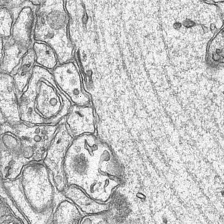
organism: Mouse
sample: CA1 Hippocampus